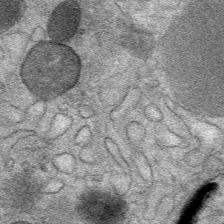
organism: Mouse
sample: Mouse Salivary gland